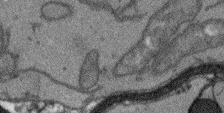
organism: Arabidopsis thaliana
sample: Root tip